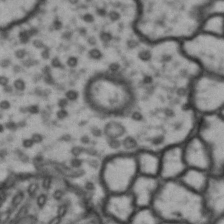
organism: Drosophila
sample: Brain